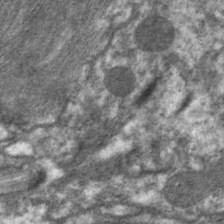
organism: C. elegans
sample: Pharynx